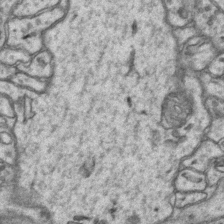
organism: Mouse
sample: CA1 Hippocampus